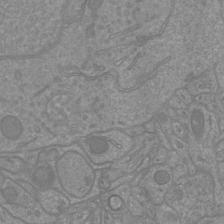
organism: Mouse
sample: Cortical neurons